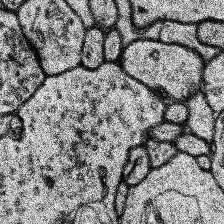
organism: Human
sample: Temporal Lobe